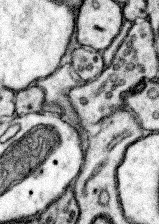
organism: Mouse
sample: Somatosensory cortex neuropil